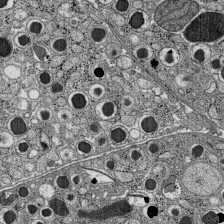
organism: C57BL Mouse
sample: Pancreatic islet